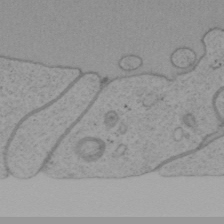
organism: Human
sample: HeLa cells